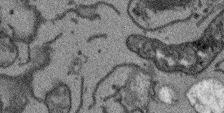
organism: Arabidopsis thaliana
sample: Root tip